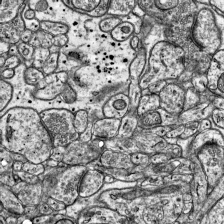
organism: Mouse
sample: Visual Cortex